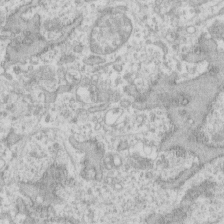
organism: Human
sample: Fibroblast cells